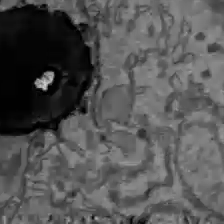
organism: C57BL Mouse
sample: Liver